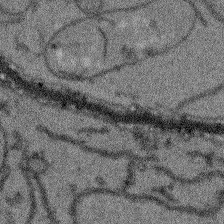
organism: Arabidopsis thaliana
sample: Root tip